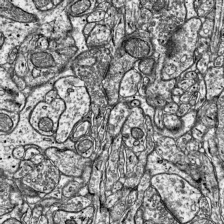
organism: Mouse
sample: Visual Cortex